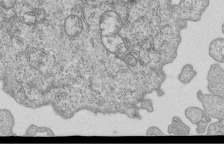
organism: Human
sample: MDA-MB-231 cells